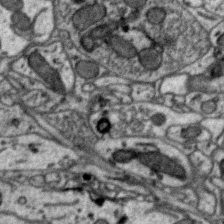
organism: Zebra finch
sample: Brain